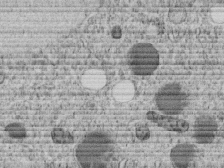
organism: C. elegans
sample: C. elegans embryo early stage